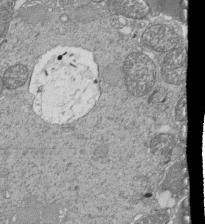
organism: Tetrahymena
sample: Cilia in tetrahymena